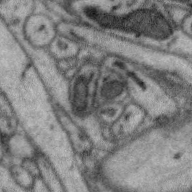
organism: Zebra finch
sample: Brain